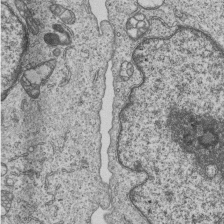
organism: Human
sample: MDA-MB-231 cells